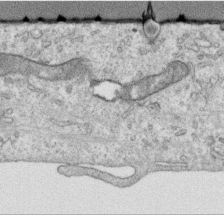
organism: Human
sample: Centriole in RPE cells